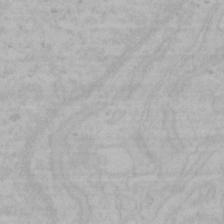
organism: Mouse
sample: Choroid plexus